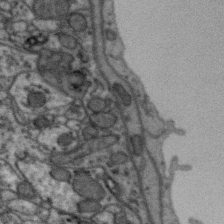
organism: Zebra finch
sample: Brain